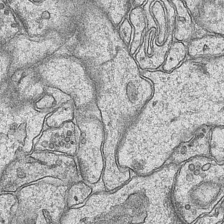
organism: Mouse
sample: CA1 Hippocampus